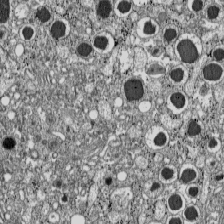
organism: C57BL Mouse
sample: Pancreatic islet